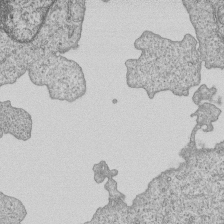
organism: Human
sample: MDA-MB-231 cells